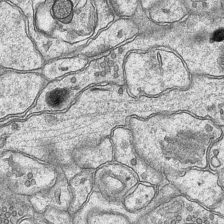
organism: Mouse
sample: CA1 Hippocampus